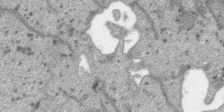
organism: Human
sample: Lung epithelial cells infected with SARS-CoV-2